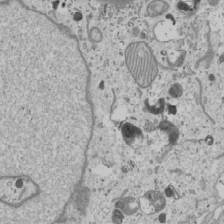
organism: Human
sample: Mitochondria in U2OS cells